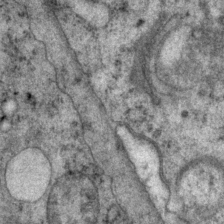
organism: P. pacificus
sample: Pharynx